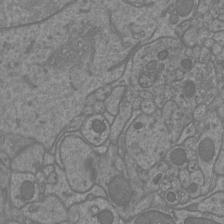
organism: Mouse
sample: Cortical neurons